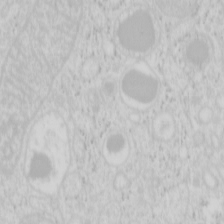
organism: Mouse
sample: Pancreas